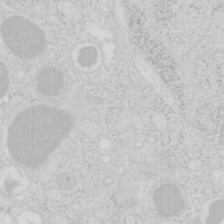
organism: Mouse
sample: Pancreas